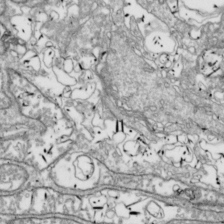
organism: Drosophila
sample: Cell division; meiosis; drosophila spermatocytes